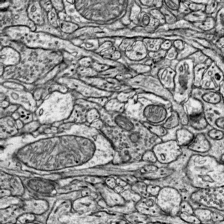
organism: Mouse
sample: Visual Cortex